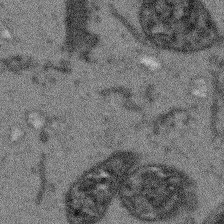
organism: Arabidopsis thaliana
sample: Root tip